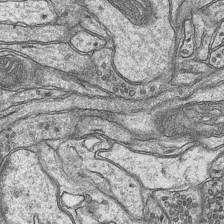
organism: Mouse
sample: CA1 Hippocampus